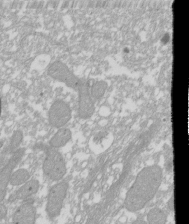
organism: Xenopus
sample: Cilia; centrioles in frog embryo cells